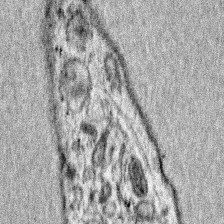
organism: Human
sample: HeLa cells